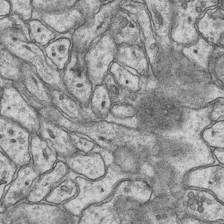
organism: Mouse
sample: CA1 Hippocampus